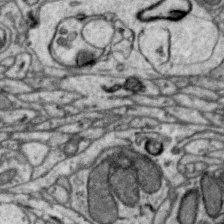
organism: Zebra finch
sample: Brain